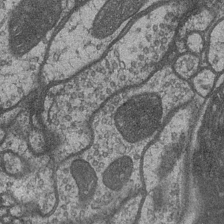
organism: Drosophila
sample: Optic medulla